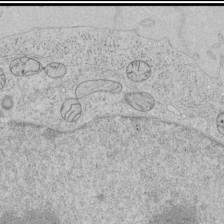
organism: Human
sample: Mitochondria in HCT116 cells